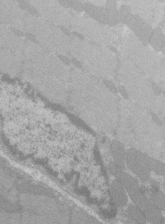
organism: C57BL Mouse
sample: Tibialis anterior muscle cell